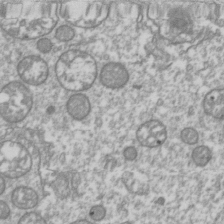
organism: Drosophila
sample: Cell division; meiosis; drosophila spermatocytes